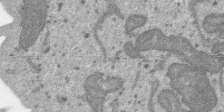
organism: Human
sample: Lung epithelial cells infected with SARS-CoV-2